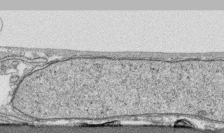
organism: Human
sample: CRL-1474